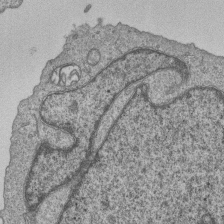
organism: Human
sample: MDA-MB-231 cells